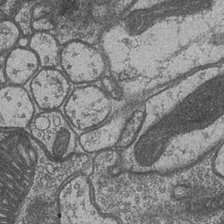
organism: Drosophila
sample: Optic medulla